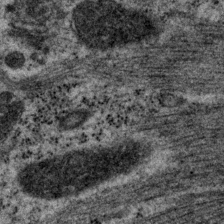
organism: P. pacificus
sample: Pharynx